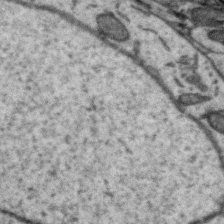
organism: Zebra finch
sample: Brain